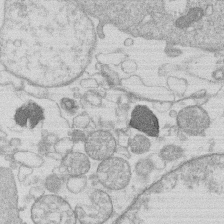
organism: Human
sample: Macrophage cells